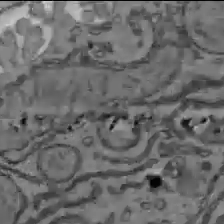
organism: C57BL Mouse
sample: Liver